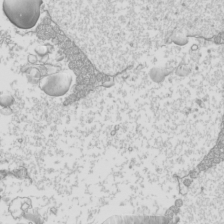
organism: Mouse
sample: Cilia; mouse epididymis